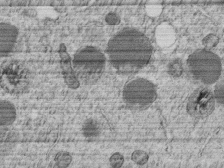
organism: C. elegans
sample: C. elegans embryo early stage